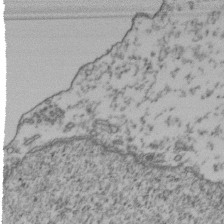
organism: Human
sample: Activated Jurkat CD4+ T cells